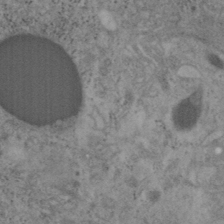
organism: Mouse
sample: OT-I killer T cells with ID8 ovarian cancer cells